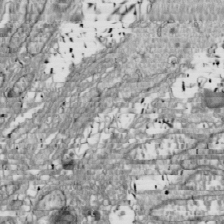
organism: Drosophila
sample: Cell division; meiosis; drosophila spermatocytes